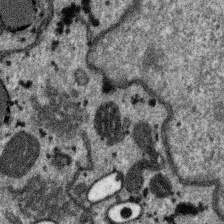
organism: Human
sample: Lung epithelial cells infected with SARS-CoV-2